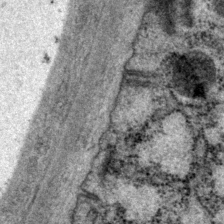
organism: P. pacificus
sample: Pharynx